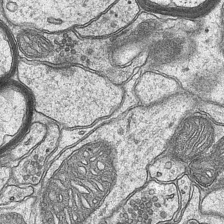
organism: Mouse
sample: CA1 Hippocampus